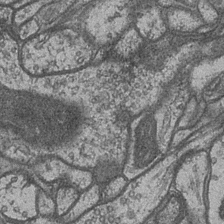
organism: Drosophila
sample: Optic medulla